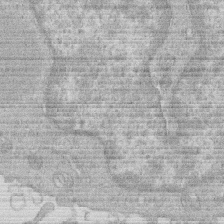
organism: Human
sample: Macrophage cells